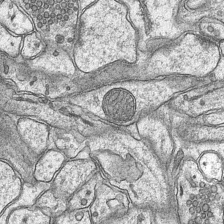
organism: Mouse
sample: CA1 Hippocampus